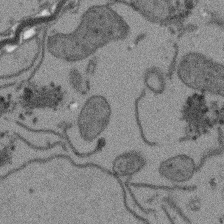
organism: Arabidopsis thaliana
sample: Root tip